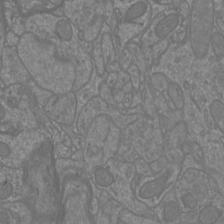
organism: Mouse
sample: Cortical neurons